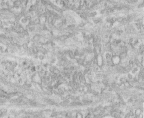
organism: Human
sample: Centriole in fibroblast cells